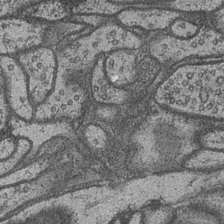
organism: Drosophila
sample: Optic medulla